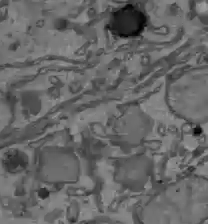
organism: C57BL Mouse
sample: Liver